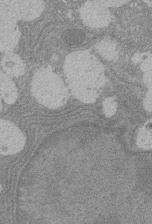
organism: Rat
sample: Salivary granule